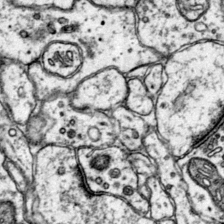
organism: Mouse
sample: Primary visual cortex